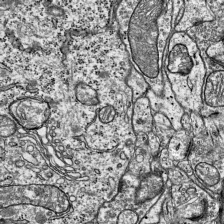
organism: Mouse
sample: Visual Cortex